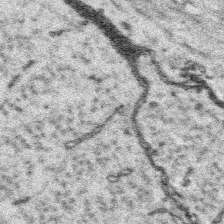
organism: Platynereis dumerilii